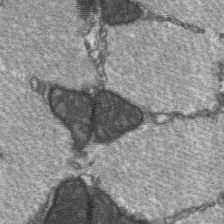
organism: C57BL Mouse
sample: Soleus